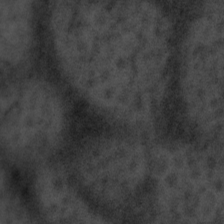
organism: Tuwongella immobilis